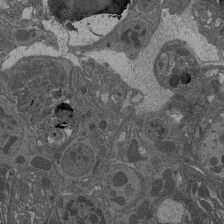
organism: Drosophila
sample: Antenna